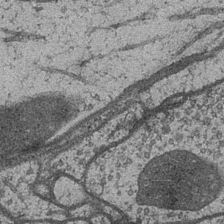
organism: Drosophila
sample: Optic medulla